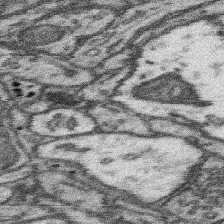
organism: Mouse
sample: Somatosensory cortex neuropil